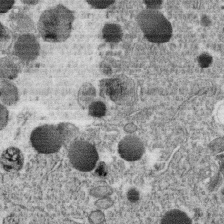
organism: C. elegans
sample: C. elegans oocyte; sperm cells